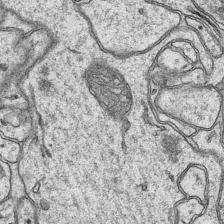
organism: Mouse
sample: CA1 Hippocampus